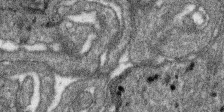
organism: Human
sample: Lung epithelial cells infected with SARS-CoV-2